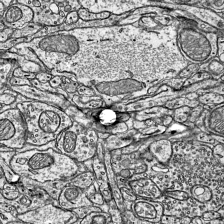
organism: Mouse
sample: Visual Cortex